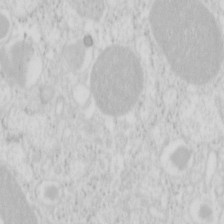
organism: Mouse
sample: Pancreas